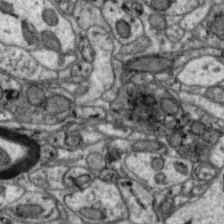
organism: Zebra finch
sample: Brain